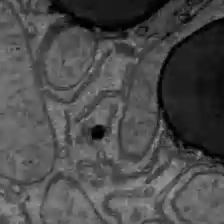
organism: C57BL Mouse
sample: Liver